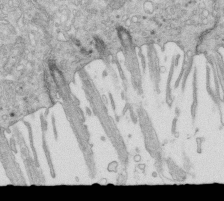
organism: Mouse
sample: Multiciliated cells